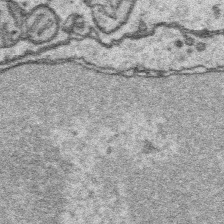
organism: Platynereis dumerilii